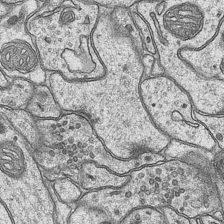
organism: Mouse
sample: CA1 Hippocampus